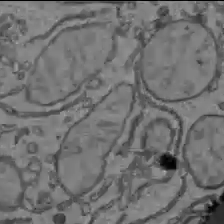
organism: C57BL Mouse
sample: Liver